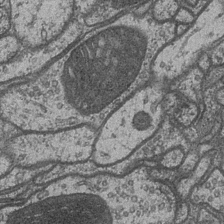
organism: Drosophila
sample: Optic medulla